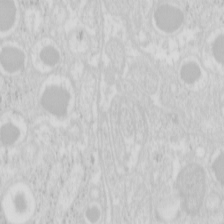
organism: Mouse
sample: Pancreas